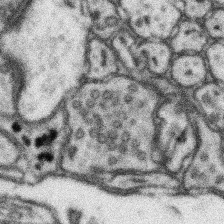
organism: Mouse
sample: Somatosensory cortex neuropil